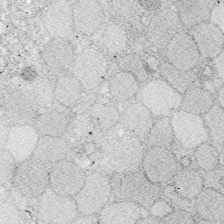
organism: Zebrafish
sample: Whole-Brain